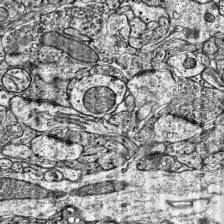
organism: Mouse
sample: Visual Cortex